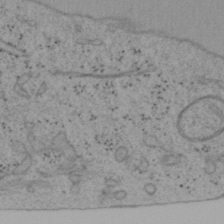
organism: Human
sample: HeLa cells